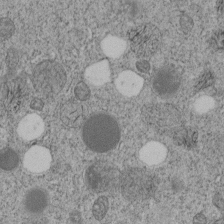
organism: C. elegans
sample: C. elegans embryo early stage